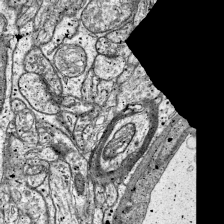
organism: Mouse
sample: Visual Cortex